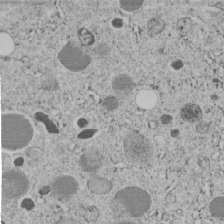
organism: C. elegans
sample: C. elegans embryo early stage